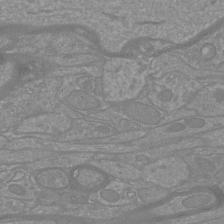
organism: Mouse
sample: Cortical neurons